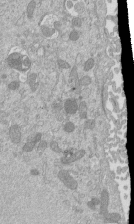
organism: Mouse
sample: ED-1 cell nuclei; centrioles